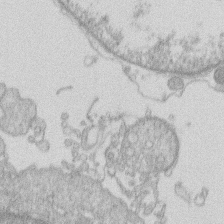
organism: Human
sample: Macrophage cells